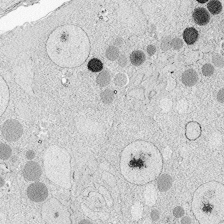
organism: Zebrafish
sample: Whole-Brain